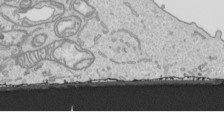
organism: Human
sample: Mitochondria in HCT116 cells